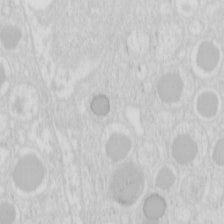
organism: Mouse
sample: Pancreas